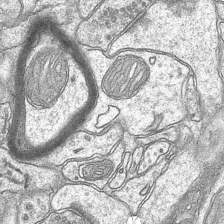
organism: Mouse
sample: CA1 Hippocampus